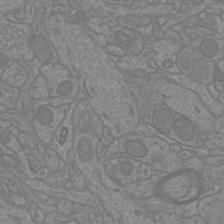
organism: Mouse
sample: Cortical neurons